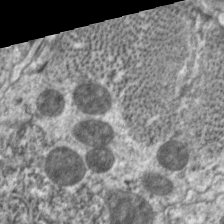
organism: C. elegans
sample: Pharynx